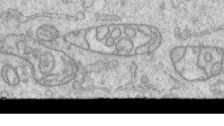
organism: Human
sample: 1205lu cells